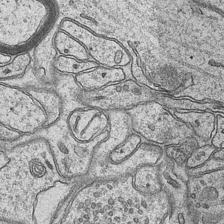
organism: Mouse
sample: CA1 Hippocampus